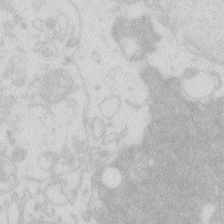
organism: Zebrafish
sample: Macrophage